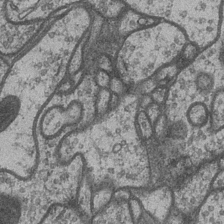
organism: Drosophila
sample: Optic medulla